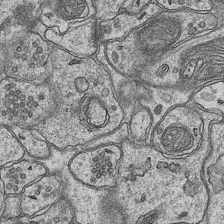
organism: Mouse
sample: CA1 Hippocampus